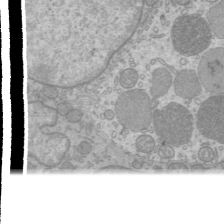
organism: Mouse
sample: Cilia; mouse epididymis